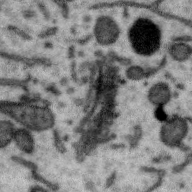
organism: Zebra finch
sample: Brain